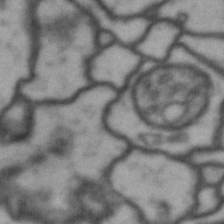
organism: Drosophila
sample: Brain